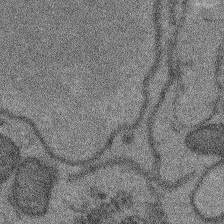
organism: Arabidopsis thaliana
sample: Root tip